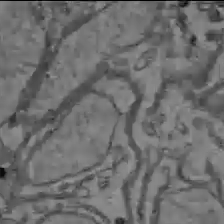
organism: C57BL Mouse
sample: Liver